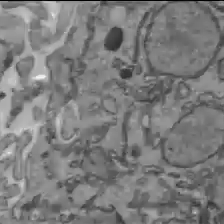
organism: C57BL Mouse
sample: Liver